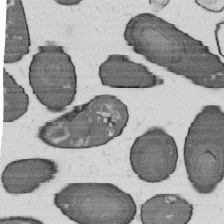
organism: B. subtilis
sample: Bacterial spore